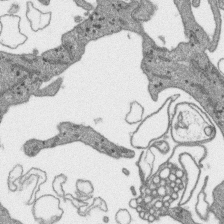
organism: Human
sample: Lung epithelial cells infected with SARS-CoV-2